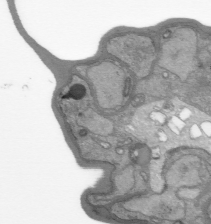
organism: Plasmodium falciparum